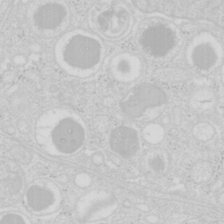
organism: Mouse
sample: Pancreas